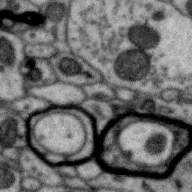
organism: Zebra finch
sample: Brain